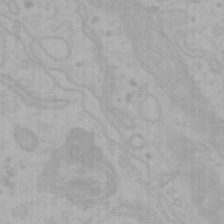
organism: Mouse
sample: Choroid plexus